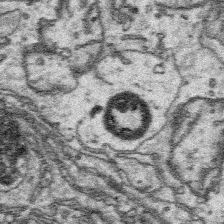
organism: Platynereis dumerilii